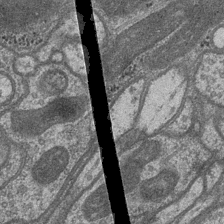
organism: Drosophila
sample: Optic medulla